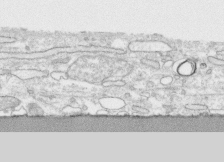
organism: Human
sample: CRL-1474